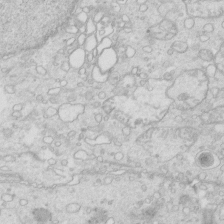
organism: Mouse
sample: Multiciliated cells